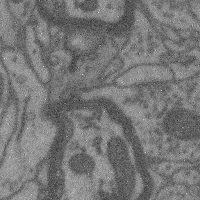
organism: Mouse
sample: Cerebral cortex